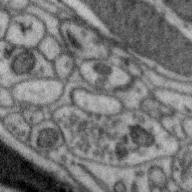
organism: Zebra finch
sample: Brain